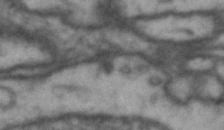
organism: Drosophila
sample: Brain